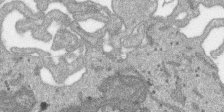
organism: Human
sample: Lung epithelial cells infected with SARS-CoV-2